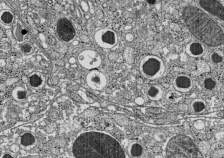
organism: C57BL Mouse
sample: Pancreatic islet